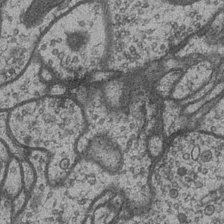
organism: Drosophila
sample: Optic medulla